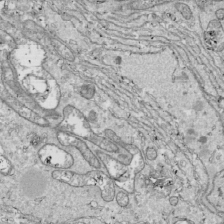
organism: Drosophila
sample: Cell division; meiosis; drosophila spermatocytes